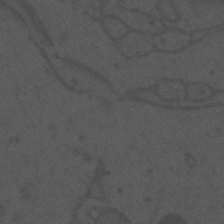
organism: Mouse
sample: Suprachiasmatic nucleus